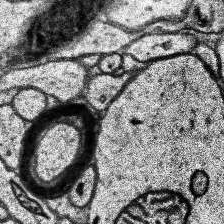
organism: Human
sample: Temporal Lobe